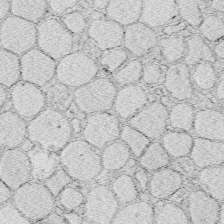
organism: Zebrafish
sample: Whole-Brain